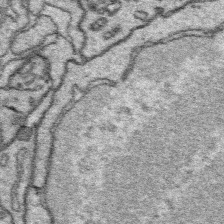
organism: Platynereis dumerilii